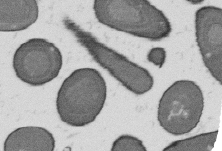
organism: B. subtilis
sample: Bacterial spore